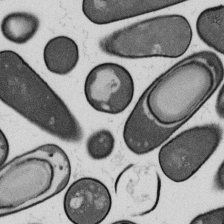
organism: B. subtilis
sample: Bacterial spore